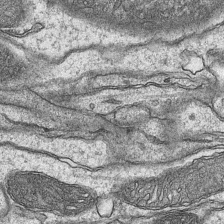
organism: Mouse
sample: CA1 Hippocampus